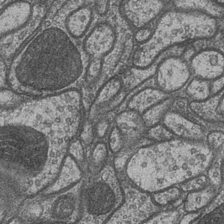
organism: Drosophila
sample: Optic medulla